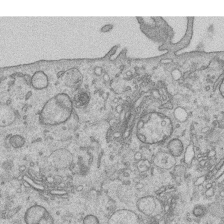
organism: Human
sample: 1205lu cells